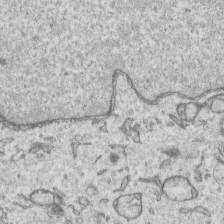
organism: Human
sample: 1205lu cells